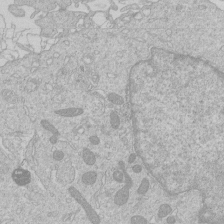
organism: Human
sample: Macrophage cells